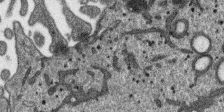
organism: Human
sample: Lung epithelial cells infected with SARS-CoV-2